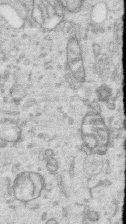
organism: Human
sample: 1205lu cells